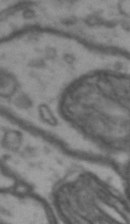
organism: Drosophila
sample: Brain